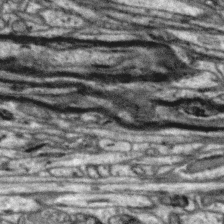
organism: Zebra finch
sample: Brain